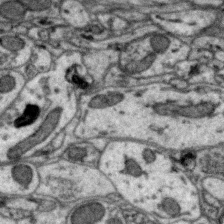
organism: Zebra finch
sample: Brain